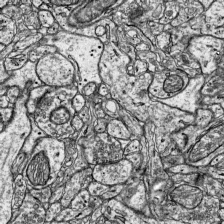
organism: Mouse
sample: Visual Cortex